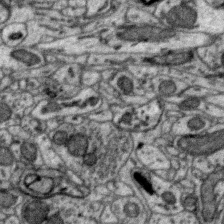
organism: Zebra finch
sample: Brain